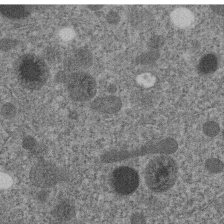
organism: C. elegans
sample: C. elegans embryo early stage